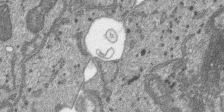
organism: Human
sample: Lung epithelial cells infected with SARS-CoV-2